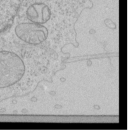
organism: Human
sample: Mitochondria in HCT116 cells